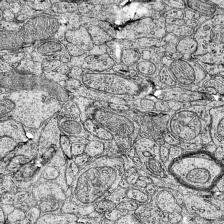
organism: Mouse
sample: Visual Cortex